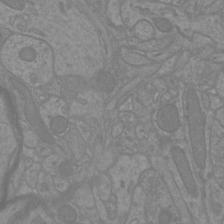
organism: Mouse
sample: Cortical neurons